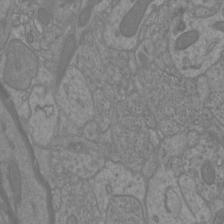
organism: Mouse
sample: Cortical neurons